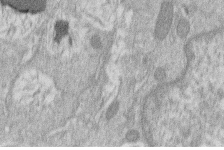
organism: Human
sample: Macrophage cells